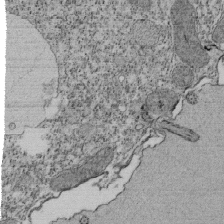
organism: Tetrahymena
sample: Cilia in tetrahymena